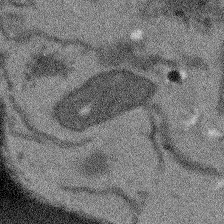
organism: Arabidopsis thaliana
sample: Root tip